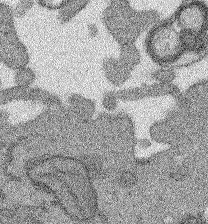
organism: Human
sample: HeLa cells